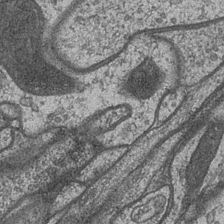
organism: Drosophila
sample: Optic medulla